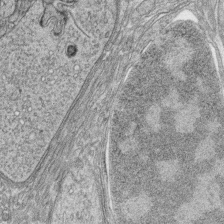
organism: Zebrafish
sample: synaptic ribbons in rod cells and cone cells